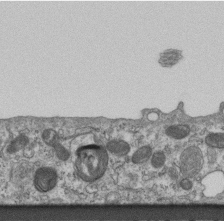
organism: Mouse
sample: Centriole in ependymal cells